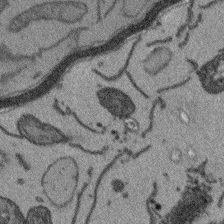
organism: Arabidopsis thaliana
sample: Root tip